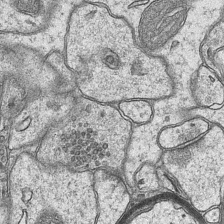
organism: Mouse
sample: CA1 Hippocampus